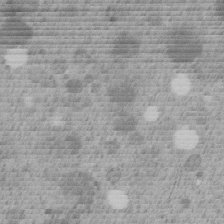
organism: C. elegans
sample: C. elegans embryo early stage